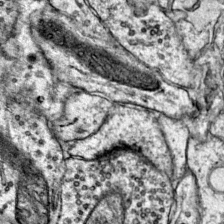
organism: Mouse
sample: Primary visual cortex